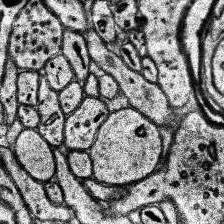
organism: Human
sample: Temporal Lobe